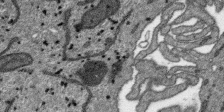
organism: Human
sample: Lung epithelial cells, uninfected (mock) control